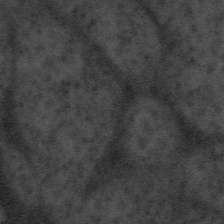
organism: Tuwongella immobilis